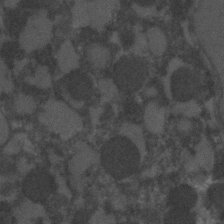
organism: C. elegans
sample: C. elegans embryo